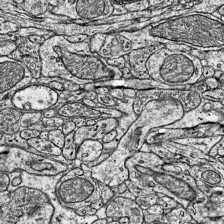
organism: Mouse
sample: Visual Cortex